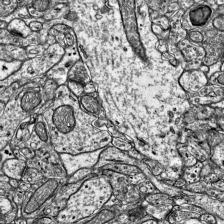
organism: Mouse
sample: Visual Cortex